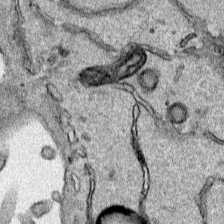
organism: Human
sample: Mitochondria in HCT116 cells